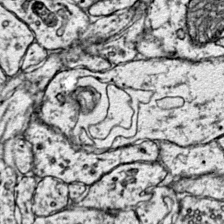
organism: Mouse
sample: Primary visual cortex